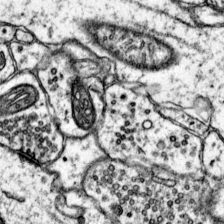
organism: Mouse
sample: Primary visual cortex